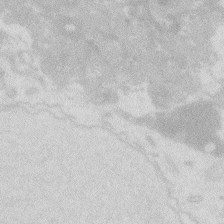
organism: Zebrafish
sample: Macrophage